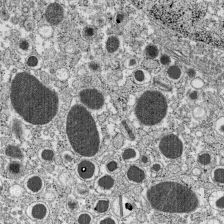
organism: C57BL Mouse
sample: Pancreatic islet